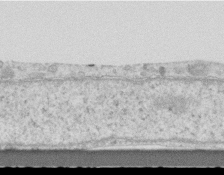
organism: Mouse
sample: Centriole in ependymal cells